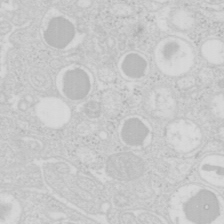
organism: Mouse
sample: Pancreas